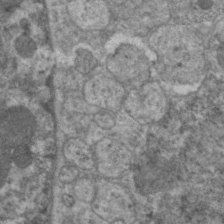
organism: C. elegans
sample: Pharynx